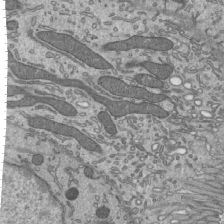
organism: Mouse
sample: Mouse epididymis efferent ductule cilia